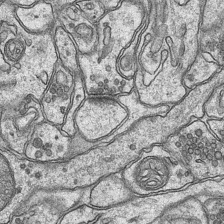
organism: Mouse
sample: CA1 Hippocampus